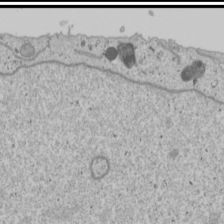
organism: Human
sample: Mitochondria in U2OS cells